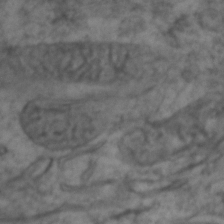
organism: Zebrafish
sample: Zebrafish embryo